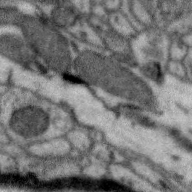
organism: Zebra finch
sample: Brain